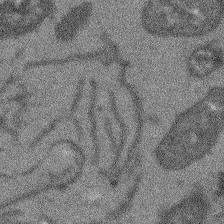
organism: Arabidopsis thaliana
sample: Root tip